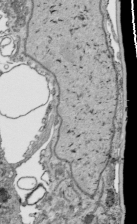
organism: Human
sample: Mitochondria in HCT116 cells